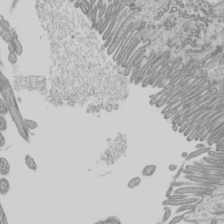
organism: Mouse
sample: Cilia; mouse epididymis